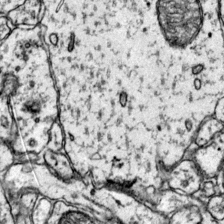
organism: Mouse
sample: Primary visual cortex